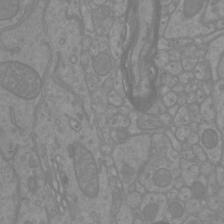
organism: Mouse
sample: Cortical neurons